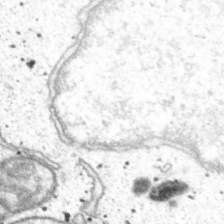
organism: Human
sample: HeLa cells